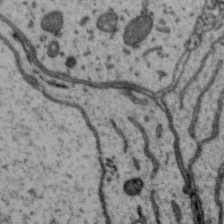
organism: Zebra finch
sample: Brain